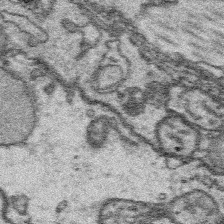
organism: Platynereis dumerilii